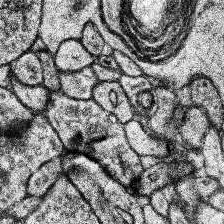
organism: Human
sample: Temporal Lobe